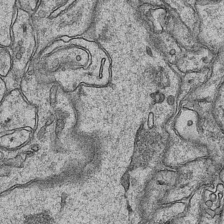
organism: Mouse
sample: CA1 Hippocampus